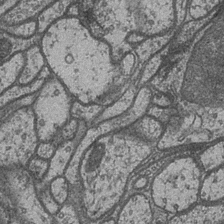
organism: Drosophila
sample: Optic medulla